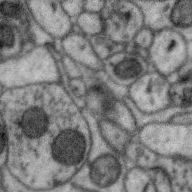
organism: Zebra finch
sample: Brain